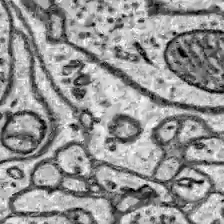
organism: Zebrafish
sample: Brain